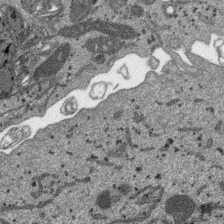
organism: Human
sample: Lung epithelial cells infected with SARS-CoV-2